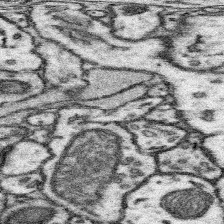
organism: Mouse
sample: Somatosensory cortex neuropil